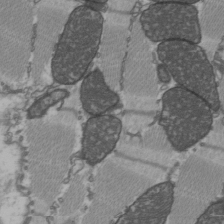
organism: C57BL Mouse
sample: Heart